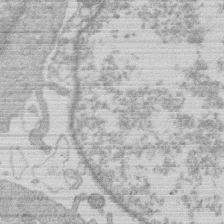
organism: Human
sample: Macrophage cells